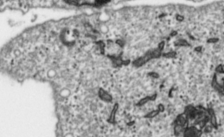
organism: Toxoplasma gondii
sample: Parasites in a vacuole inside a host cell